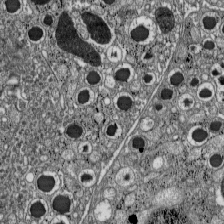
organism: C57BL Mouse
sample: Pancreatic islet